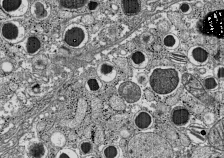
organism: C57BL Mouse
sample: Pancreatic islet